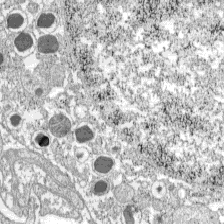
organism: C57BL Mouse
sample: Pancreatic islet